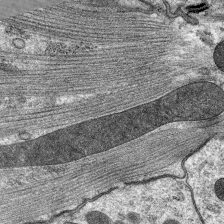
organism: C. elegans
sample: Pharynx